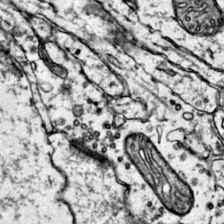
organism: Mouse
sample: Primary visual cortex